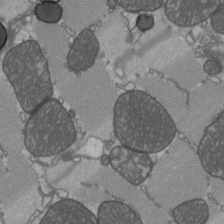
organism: C57BL Mouse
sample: Heart